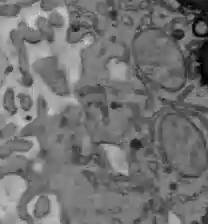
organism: C57BL Mouse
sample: Liver